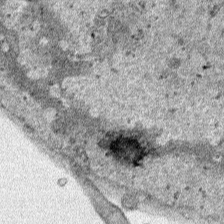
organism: Human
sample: Mitochondria in HCT116 cells